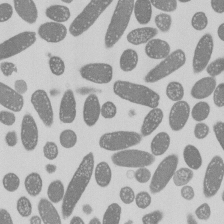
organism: E. coli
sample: Bacterial nucleoid